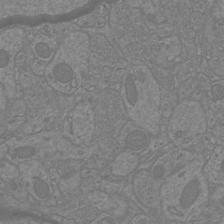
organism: Mouse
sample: Cortical neurons